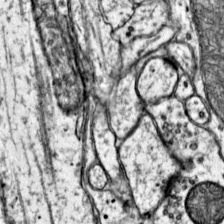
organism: Mouse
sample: Primary visual cortex